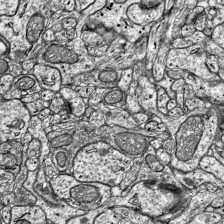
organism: Mouse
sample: Visual Cortex